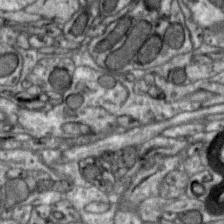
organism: Zebra finch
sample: Brain